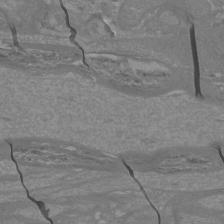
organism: Mouse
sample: Cortical neurons